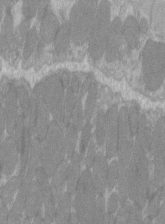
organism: C57BL Mouse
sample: Tibialis anterior muscle cell